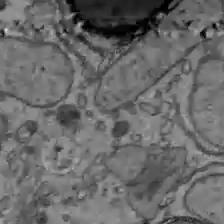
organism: C57BL Mouse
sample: Liver